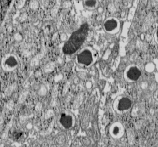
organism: C57BL Mouse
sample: Pancreatic islet